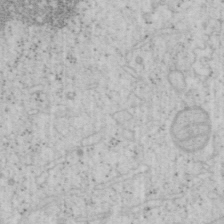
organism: Human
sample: HeLa cells